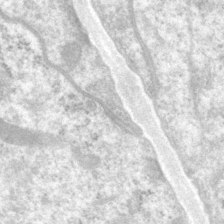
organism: P. pacificus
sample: Pharynx